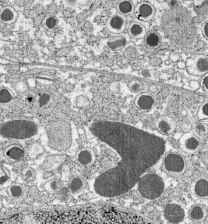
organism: C57BL Mouse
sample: Pancreatic islet